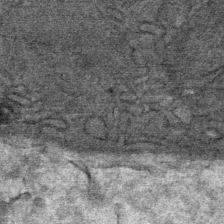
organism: Mouse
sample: Mouse Salivary gland